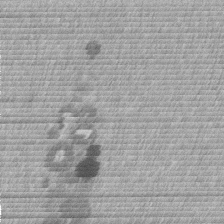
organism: Mouse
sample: Dividing mouse embryo 1 cell stage